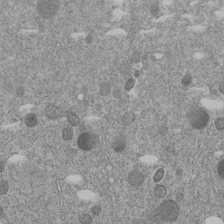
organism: C. elegans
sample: C. elegans embryo early stage